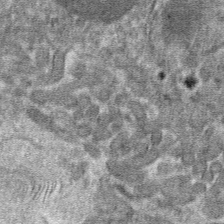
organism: Mouse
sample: Mouse hepatocytes